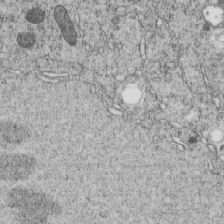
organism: C. elegans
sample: C. elegans embryo early stage